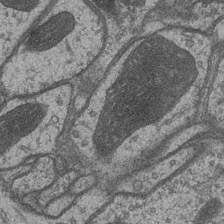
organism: Drosophila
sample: Optic medulla